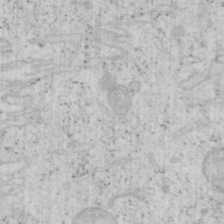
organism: Human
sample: HeLa cells